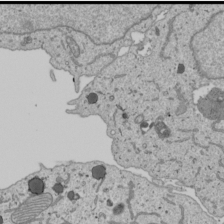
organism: Human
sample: Mitochondria in U2OS cells